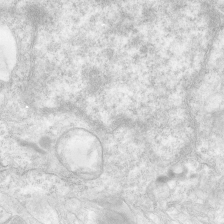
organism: Human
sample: Neocortex